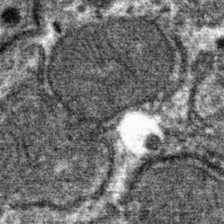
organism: Mouse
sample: Mouse hepatocytes